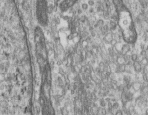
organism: Human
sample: Centriole in RPE cells